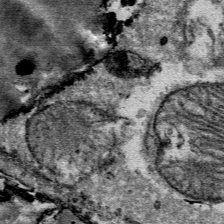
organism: Mouse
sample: Mouse Salivary gland